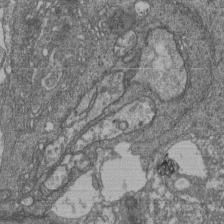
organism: Human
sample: Retinal organoid Rod and Cone cells